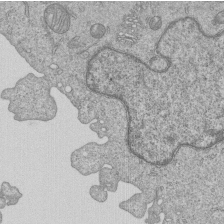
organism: Human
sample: MDA-MB-231 cells